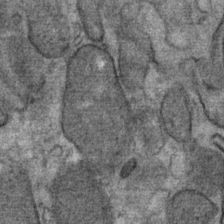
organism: Mouse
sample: Mouse Salivary gland